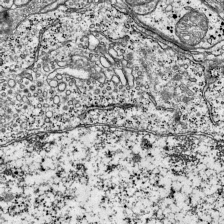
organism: Mouse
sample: Visual Cortex